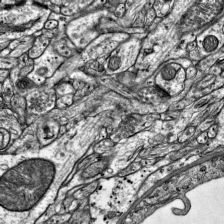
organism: Mouse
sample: Visual Cortex